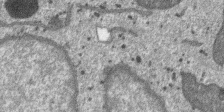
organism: Human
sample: Lung epithelial cells infected with SARS-CoV-2